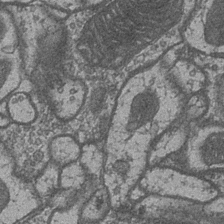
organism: Drosophila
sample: Optic medulla